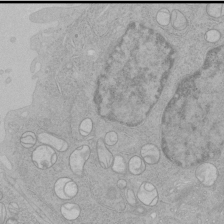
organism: Human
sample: Mitochondria in HCT116 cells